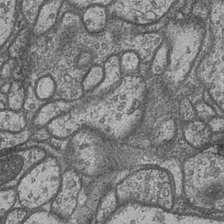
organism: Drosophila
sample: Optic medulla